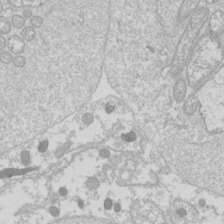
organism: Drosophila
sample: Cell division; meiosis; drosophila spermatocytes